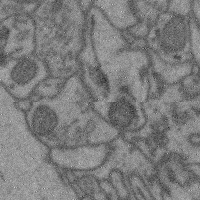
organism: Mouse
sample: Cerebral cortex